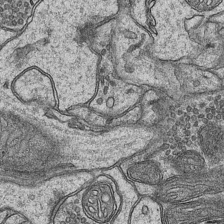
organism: Mouse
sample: CA1 Hippocampus